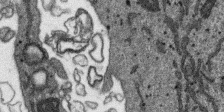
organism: Human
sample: Lung epithelial cells infected with SARS-CoV-2